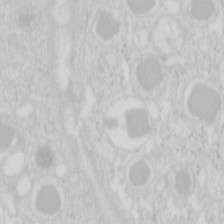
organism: Mouse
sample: Pancreas